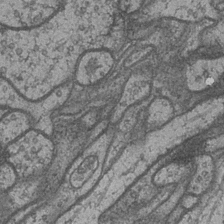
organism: Drosophila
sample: Optic medulla